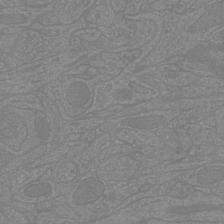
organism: Mouse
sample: Cortical neurons